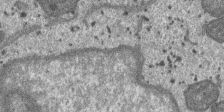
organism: Human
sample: Lung epithelial cells infected with SARS-CoV-2